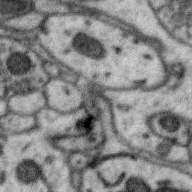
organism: Zebra finch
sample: Brain